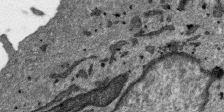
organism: Human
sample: Lung epithelial cells, uninfected (mock) control